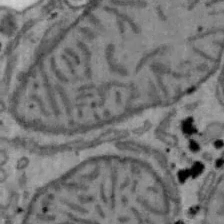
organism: Mouse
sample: Liver